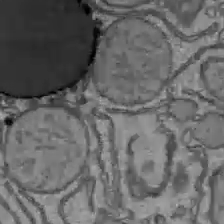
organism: C57BL Mouse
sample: Liver